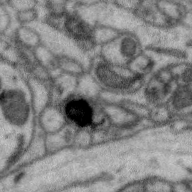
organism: Zebra finch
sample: Brain